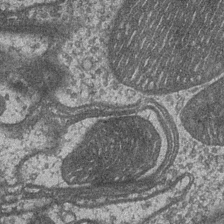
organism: Drosophila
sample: Optic medulla